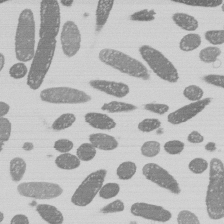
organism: E. coli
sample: Bacterial nucleoid